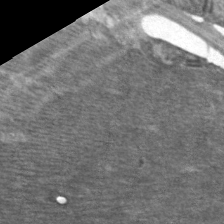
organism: C. elegans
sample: Pharynx